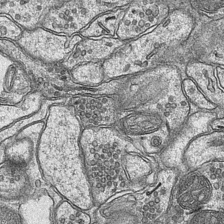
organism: Mouse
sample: CA1 Hippocampus